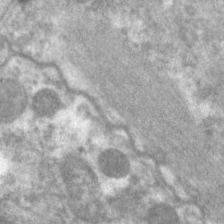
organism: C. elegans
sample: Pharynx